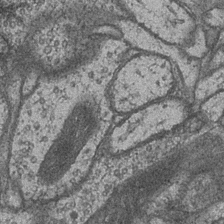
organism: Drosophila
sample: Optic medulla